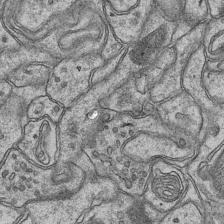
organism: Mouse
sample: CA1 Hippocampus